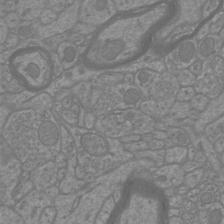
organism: Mouse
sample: Cortical neurons